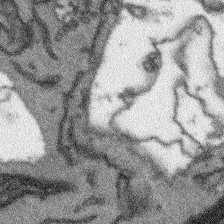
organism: Arabidopsis thaliana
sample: Root tip